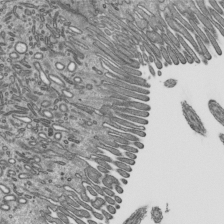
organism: Mouse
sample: Mouse epididymis efferent ductule cilia